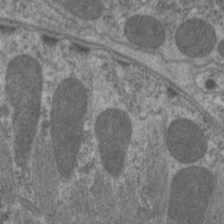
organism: C. elegans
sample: Pharynx